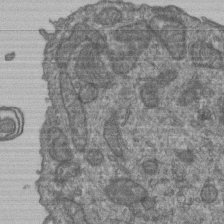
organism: Human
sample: Retinal organoid Rod and Cone cells